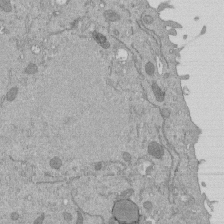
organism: Mouse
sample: ED-1 cell nuclei; centrioles